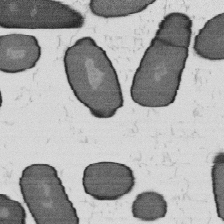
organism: B. subtilis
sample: Bacterial spore